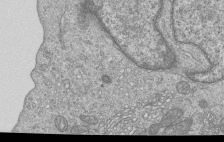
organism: Human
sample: MDA-MB-231 cells